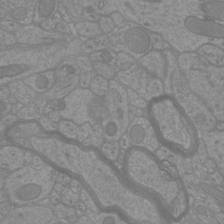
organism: Mouse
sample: Cortical neurons